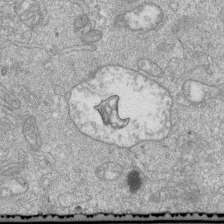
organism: Human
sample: HeLa cell HIV synapse